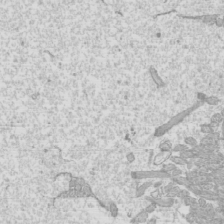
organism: Mouse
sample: Cilia; mouse epididymis